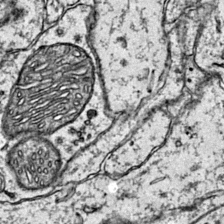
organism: Mouse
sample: Primary visual cortex